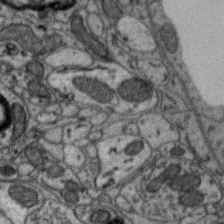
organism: Zebra finch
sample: Brain